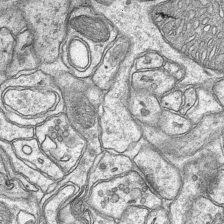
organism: Mouse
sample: CA1 Hippocampus